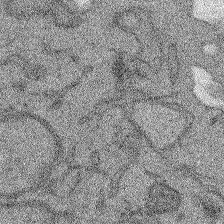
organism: Human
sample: HeLa cells